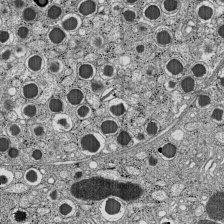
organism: C57BL Mouse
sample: Pancreatic islet